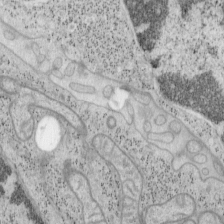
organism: Mouse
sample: OT-I killer T cells with ID8 ovarian cancer cells